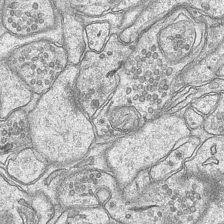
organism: Mouse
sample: CA1 Hippocampus